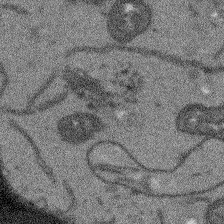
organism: Arabidopsis thaliana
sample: Root tip